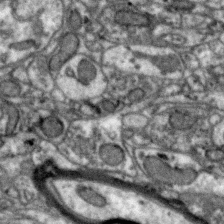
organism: Zebra finch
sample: Brain